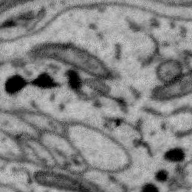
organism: Zebra finch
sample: Brain